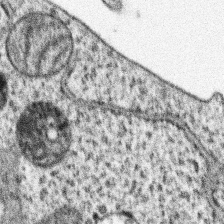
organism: Human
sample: HeLa cells